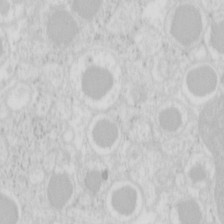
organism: Mouse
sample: Pancreas